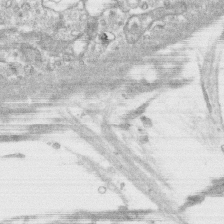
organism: Human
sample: CRL-1474